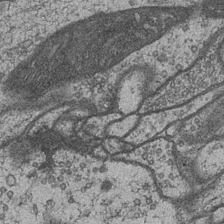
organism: Drosophila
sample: Optic medulla